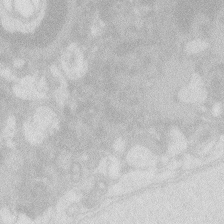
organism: Zebrafish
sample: Macrophage